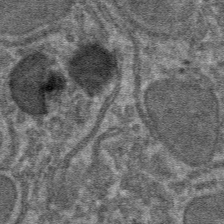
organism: Mouse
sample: Mouse hepatocytes